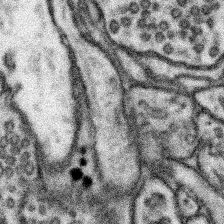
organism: Mouse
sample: Somatosensory cortex neuropil